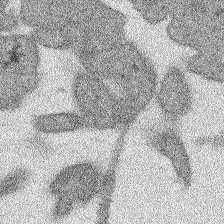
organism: Human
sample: HeLa cells